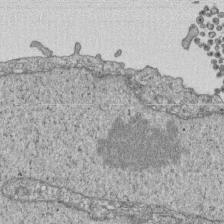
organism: Human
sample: HeLa cell HIV synapse